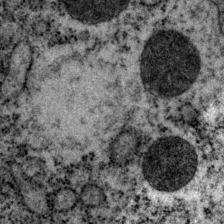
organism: P. pacificus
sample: Pharynx